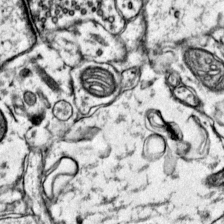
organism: Mouse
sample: Primary visual cortex